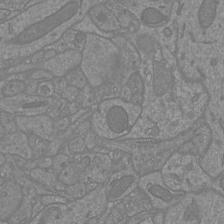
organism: Mouse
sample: Cortical neurons